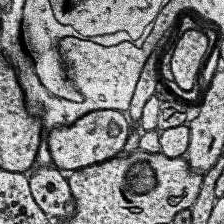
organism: Human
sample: Temporal Lobe